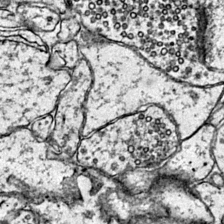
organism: Mouse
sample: Primary visual cortex